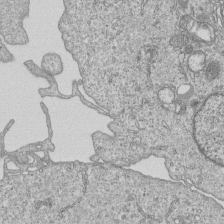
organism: Human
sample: MDA-MB-231 cells